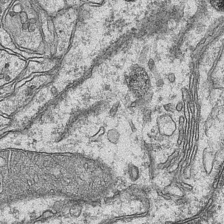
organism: Mouse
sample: CA1 Hippocampus